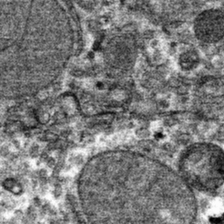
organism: Mouse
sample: Mouse hepatocytes